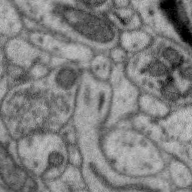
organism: Zebra finch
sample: Brain